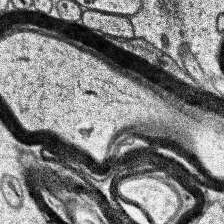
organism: Human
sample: Temporal Lobe